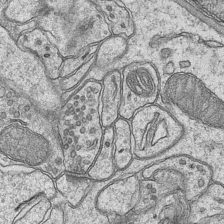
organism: Mouse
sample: CA1 Hippocampus